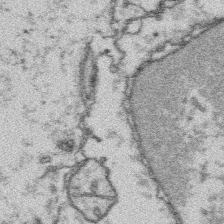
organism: Platynereis dumerilii